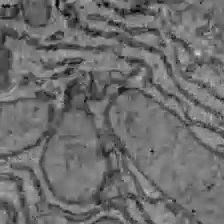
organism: C57BL Mouse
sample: Liver